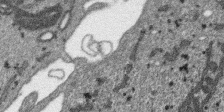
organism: Human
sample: Lung epithelial cells infected with SARS-CoV-2